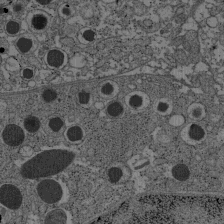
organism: C57BL Mouse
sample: Pancreatic islet